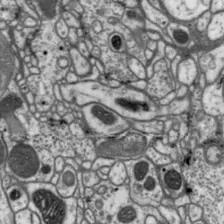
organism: Drosophila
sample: Protocerebral bridge